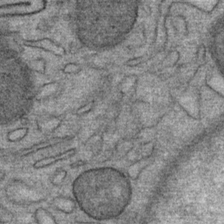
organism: Mouse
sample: Mouse Salivary gland